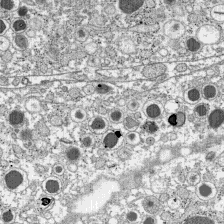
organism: C57BL Mouse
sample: Pancreatic islet